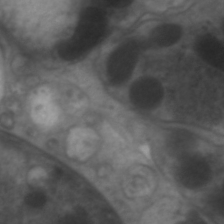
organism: C. elegans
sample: Pharynx